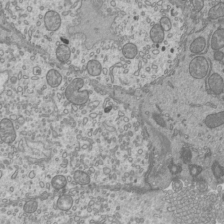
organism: Mouse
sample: Cilia; mouse epididymis